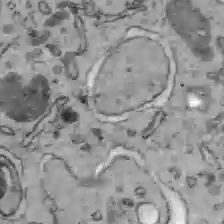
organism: C57BL Mouse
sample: Liver